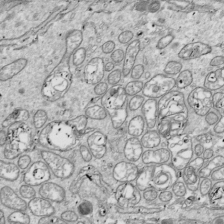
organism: Drosophila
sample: Cell division; meiosis; drosophila spermatocytes